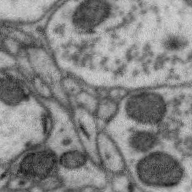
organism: Zebra finch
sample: Brain